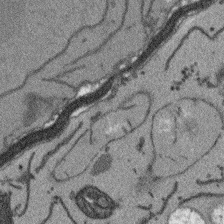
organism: Arabidopsis thaliana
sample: Root tip